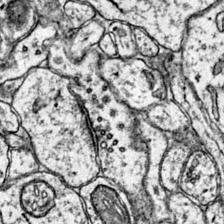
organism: Mouse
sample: Primary visual cortex